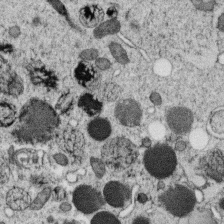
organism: C. elegans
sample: C. elegans oocyte; sperm cells